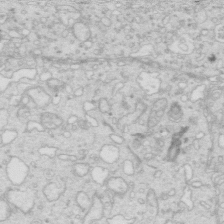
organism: Mouse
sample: Multiciliated cells